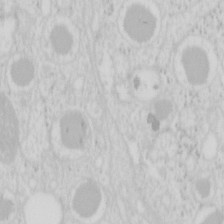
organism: Mouse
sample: Pancreas